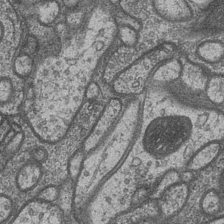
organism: Drosophila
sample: Optic medulla